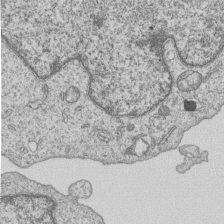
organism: Human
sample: MDA-MB-231 cells